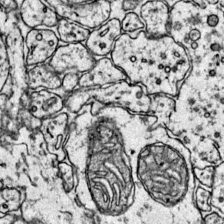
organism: Mouse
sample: Primary visual cortex